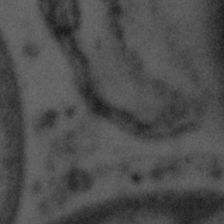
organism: Tuwongella immobilis